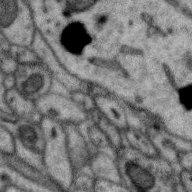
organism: Zebra finch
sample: Brain